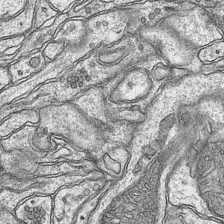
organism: Mouse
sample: CA1 Hippocampus